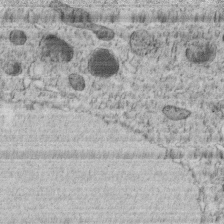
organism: C. elegans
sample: C. elegans embryo early stage